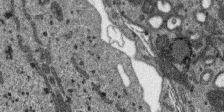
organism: Human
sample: Lung epithelial cells infected with SARS-CoV-2